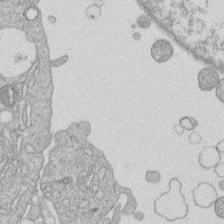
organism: Human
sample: Macrophage cells